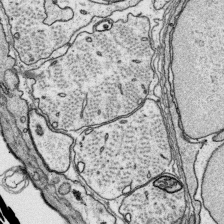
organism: Platynereis dumerilii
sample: Parapodia